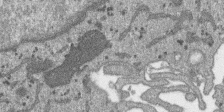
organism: Human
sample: Lung epithelial cells infected with SARS-CoV-2